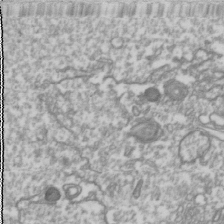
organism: Drosophila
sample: Cell division; meiosis; drosophila spermatocytes